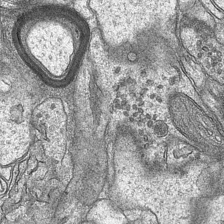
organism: Mouse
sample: CA1 Hippocampus